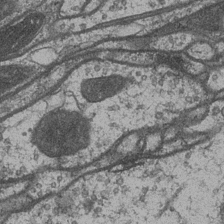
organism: Drosophila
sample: Optic medulla